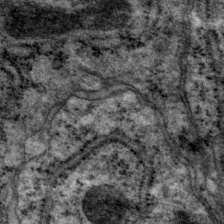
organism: P. pacificus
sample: Pharynx